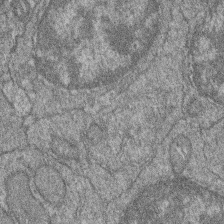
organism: Zebrafish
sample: Cilia; retinal pigment epithelium